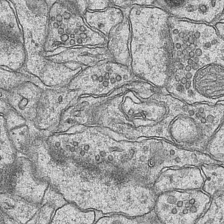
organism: Mouse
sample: CA1 Hippocampus